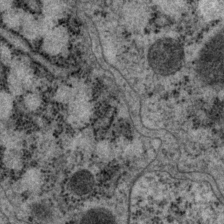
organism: P. pacificus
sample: Pharynx